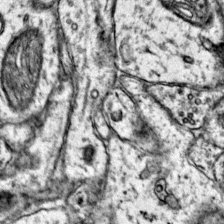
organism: Mouse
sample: Primary visual cortex